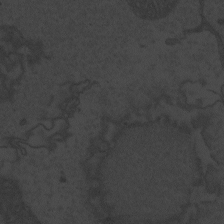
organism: Zebrafish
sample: Macrophage infected with Toxoplasma gondii